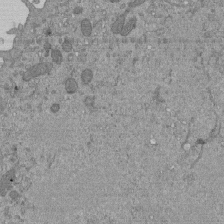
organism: Mouse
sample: ED-1 cell nuclei; centrioles